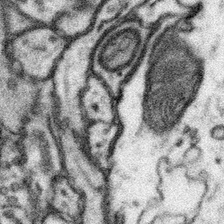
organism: Mouse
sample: Somatosensory cortex neuropil